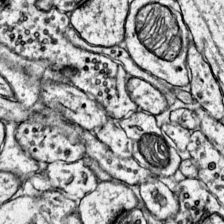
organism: Mouse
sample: Primary visual cortex